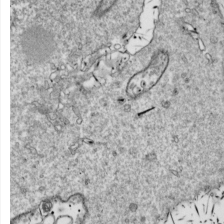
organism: Drosophila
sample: Cell division; meiosis; drosophila spermatocytes